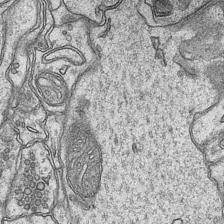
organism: Mouse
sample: CA1 Hippocampus